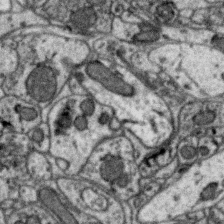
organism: Zebra finch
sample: Brain